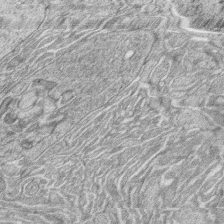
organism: Zebrafish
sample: synaptic ribbons in rod cells and cone cells